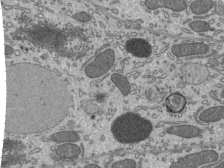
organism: Mouse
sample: Mouse epididymis efferent ductule cilia